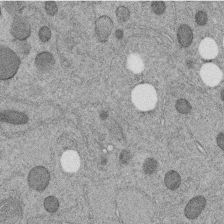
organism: C. elegans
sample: C. elegans embryo early stage